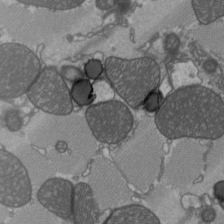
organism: C57BL Mouse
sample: Heart